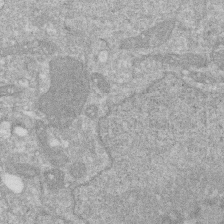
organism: Human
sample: HIV infected U937 cells